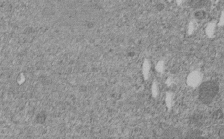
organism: C. elegans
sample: C. elegans embryo early stage